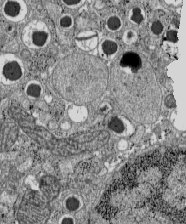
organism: C57BL Mouse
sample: Pancreatic islet